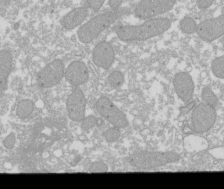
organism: Xenopus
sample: Cilia; centrioles in frog embryo cells